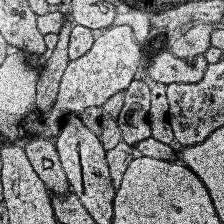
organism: Human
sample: Temporal Lobe